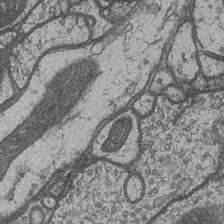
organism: Drosophila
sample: Optic medulla